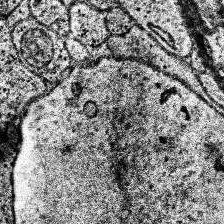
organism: Human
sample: Temporal Lobe